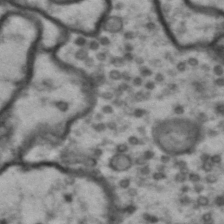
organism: Drosophila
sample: Brain